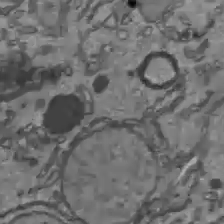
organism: C57BL Mouse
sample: Liver